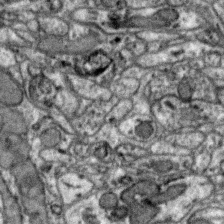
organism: Zebra finch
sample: Brain